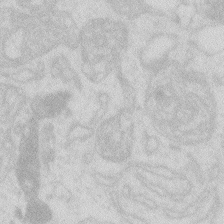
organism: Zebrafish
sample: Macrophage